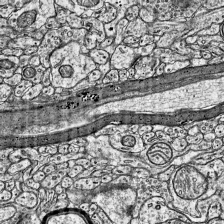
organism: Mouse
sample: Visual Cortex